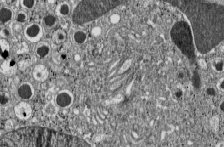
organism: C57BL Mouse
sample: Pancreatic islet